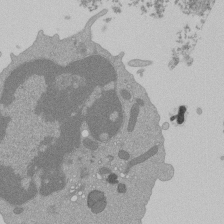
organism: Mouse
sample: Activated Pmel transgenic CD8+ T Cells